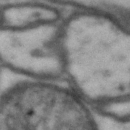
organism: Drosophila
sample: Brain